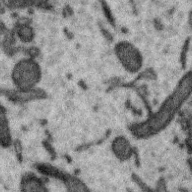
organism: Zebra finch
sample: Brain